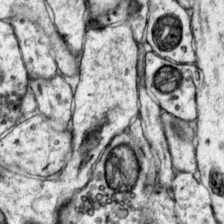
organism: Mouse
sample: Primary visual cortex